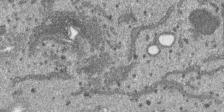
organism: Human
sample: Lung epithelial cells infected with SARS-CoV-2